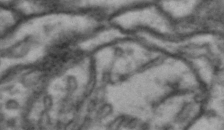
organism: Drosophila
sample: Brain